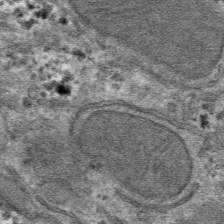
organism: Mouse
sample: Mouse hepatocytes